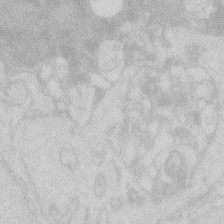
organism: Zebrafish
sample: Macrophage